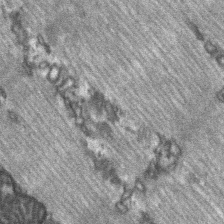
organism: C57BL Mouse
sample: Soleus